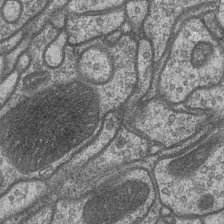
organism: Drosophila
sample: Optic medulla